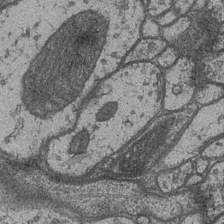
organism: Drosophila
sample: Optic medulla